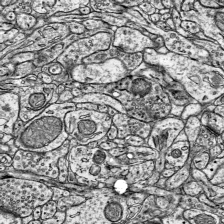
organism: Mouse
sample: Visual Cortex